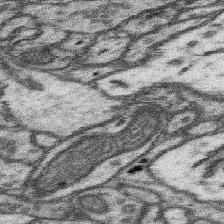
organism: Mouse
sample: Somatosensory cortex neuropil